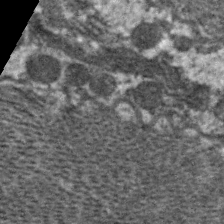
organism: C. elegans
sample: Pharynx